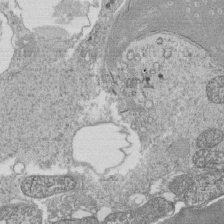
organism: Tetrahymena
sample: Cilia in tetrahymena